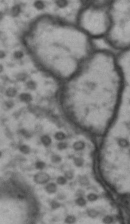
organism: Drosophila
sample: Brain